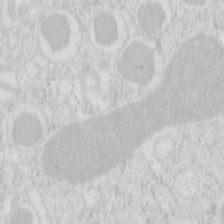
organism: Mouse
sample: Pancreas